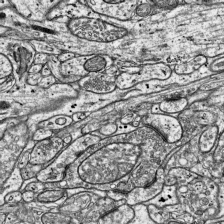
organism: Mouse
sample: Visual Cortex